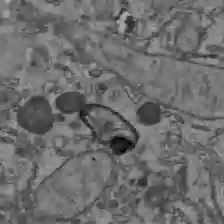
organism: C57BL Mouse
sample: Liver